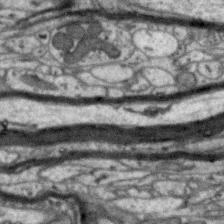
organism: Zebra finch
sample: Brain